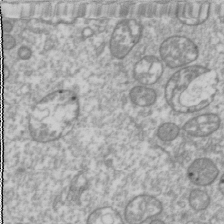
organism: Drosophila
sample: Cell division; meiosis; drosophila spermatocytes